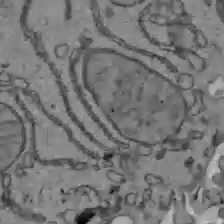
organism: C57BL Mouse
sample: Liver